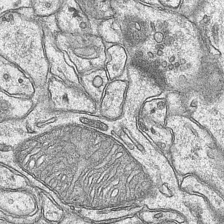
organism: Mouse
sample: CA1 Hippocampus